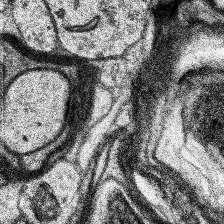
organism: Human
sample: Temporal Lobe